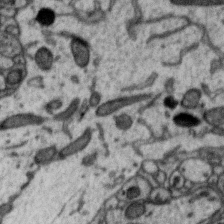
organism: Zebra finch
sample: Brain